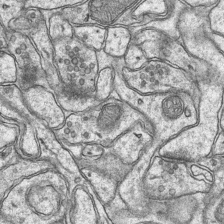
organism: Mouse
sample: CA1 Hippocampus